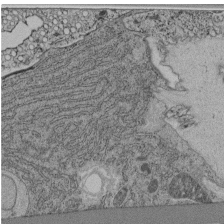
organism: C. elegans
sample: C. elegans pharynx